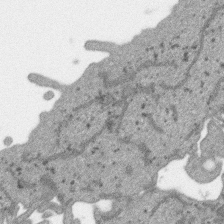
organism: Human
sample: Lung epithelial cells infected with SARS-CoV-2